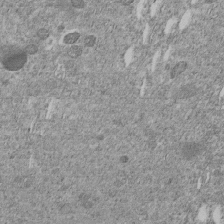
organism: C. elegans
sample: C. elegans embryo early stage